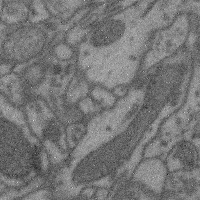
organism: Mouse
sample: Cerebral cortex